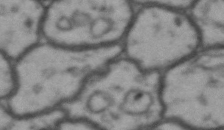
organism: Drosophila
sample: Brain